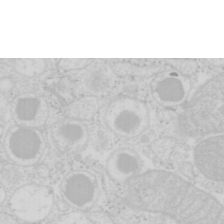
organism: Mouse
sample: Pancreas